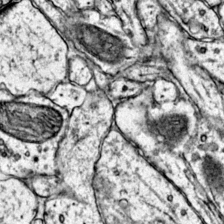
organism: Mouse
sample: Primary visual cortex